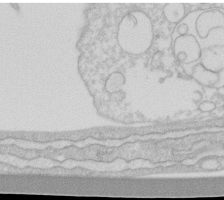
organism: Human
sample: Fibroblast cells